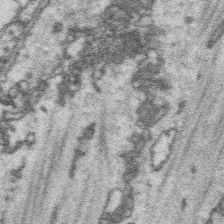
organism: Platynereis dumerilii